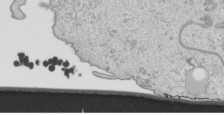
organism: Human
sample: Mitochondria in HCT116 cells